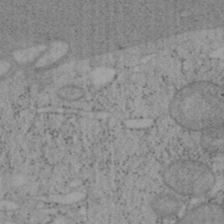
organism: Mouse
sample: OT-I killer T cells with ID8 ovarian cancer cells